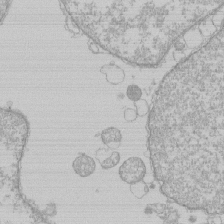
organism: Human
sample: Macrophage cells